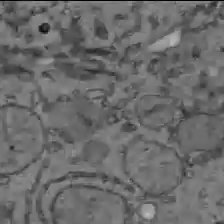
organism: C57BL Mouse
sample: Liver